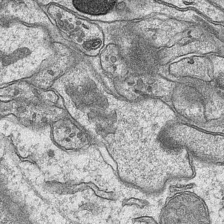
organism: Mouse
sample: CA1 Hippocampus